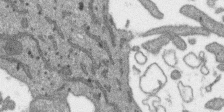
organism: Human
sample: Lung epithelial cells infected with SARS-CoV-2